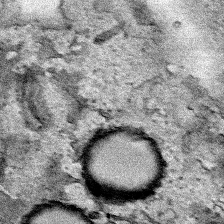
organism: Human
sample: Mitochondria in HCT116 cells